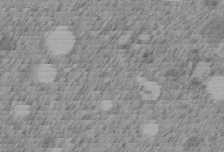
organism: C. elegans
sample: C. elegans embryo early stage